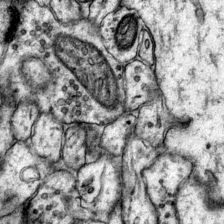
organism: Mouse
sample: Primary visual cortex